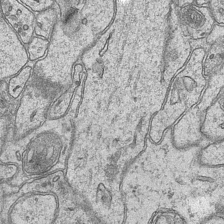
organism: Mouse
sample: CA1 Hippocampus